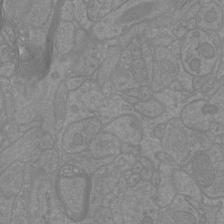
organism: Mouse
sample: Cortical neurons